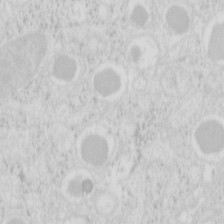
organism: Mouse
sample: Pancreas